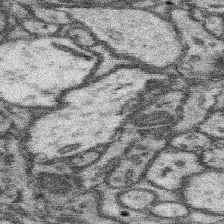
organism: Mouse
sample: Somatosensory cortex neuropil